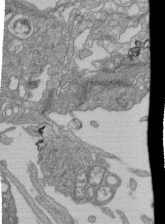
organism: Human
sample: Retinal organoid Rod and Cone cells